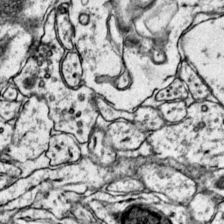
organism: Mouse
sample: Primary visual cortex